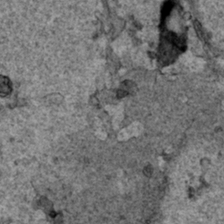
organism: Human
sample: Mitochondria in HCT116 cells